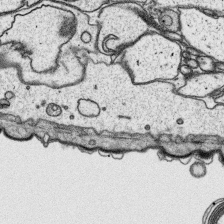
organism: Platynereis dumerilii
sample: Parapodia